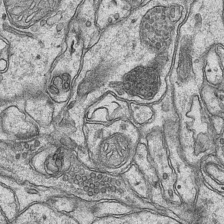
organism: Mouse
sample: CA1 Hippocampus